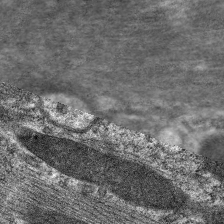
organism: C. elegans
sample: Pharynx